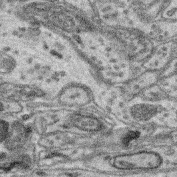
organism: Mouse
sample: Retina